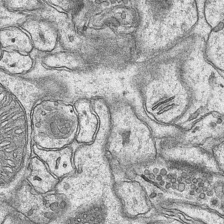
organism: Mouse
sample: CA1 Hippocampus